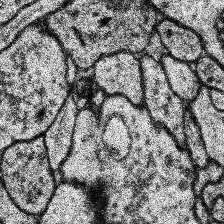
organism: Human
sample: Temporal Lobe